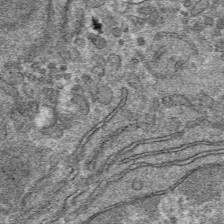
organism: Mouse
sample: Mouse hepatocytes